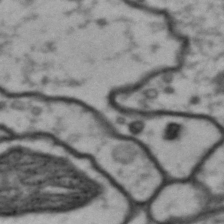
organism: Drosophila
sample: Brain